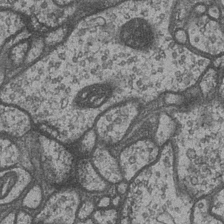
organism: Drosophila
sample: Optic medulla